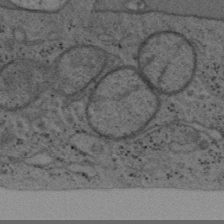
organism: Human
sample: HeLa cells